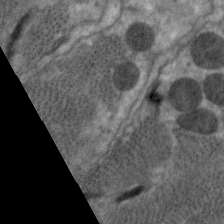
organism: C. elegans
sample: Pharynx